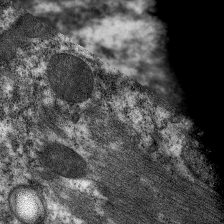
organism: C. elegans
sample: Pharynx